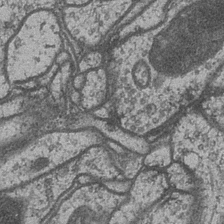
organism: Drosophila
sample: Optic medulla